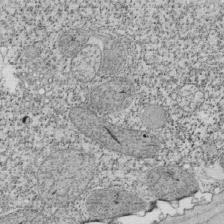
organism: Tetrahymena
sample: Cilia in tetrahymena